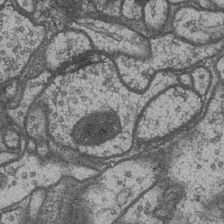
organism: Drosophila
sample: Optic medulla